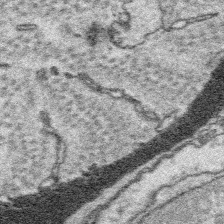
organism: Platynereis dumerilii